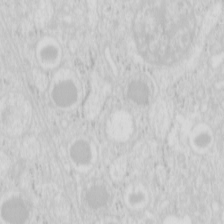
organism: Mouse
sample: Pancreas